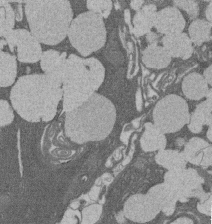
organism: Rat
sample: Salivary granule